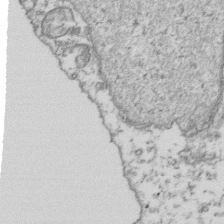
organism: Human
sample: Activated Jurkat CD4+ T cells